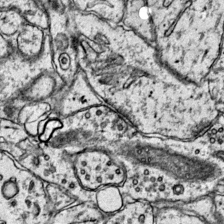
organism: Mouse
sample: Primary visual cortex